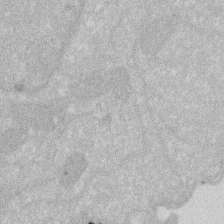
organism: Human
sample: HIV infected U937 cells